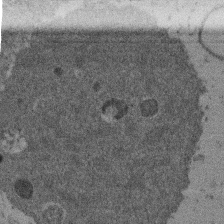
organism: Mouse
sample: Dividing mouse embryo 1 cell stage